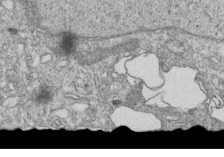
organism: Human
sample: HeLa cell HIV synapse